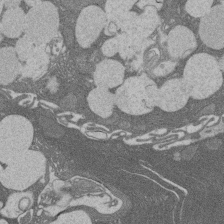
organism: Rat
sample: Salivary granule